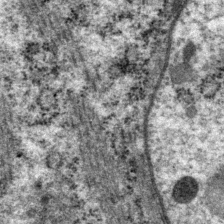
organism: P. pacificus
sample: Pharynx